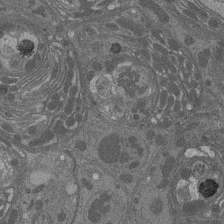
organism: Drosophila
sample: Antenna